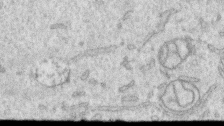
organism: Human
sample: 1205lu cells